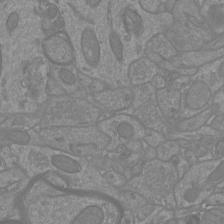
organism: Mouse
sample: Cortical neurons